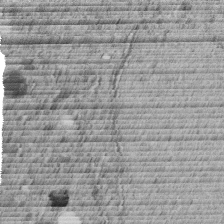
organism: C. elegans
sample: C. elegans embryo early stage